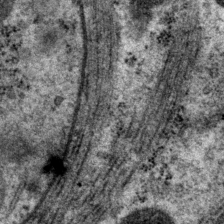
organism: P. pacificus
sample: Pharynx